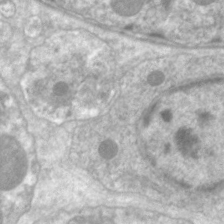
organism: C. elegans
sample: Pharynx